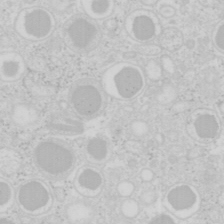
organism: Mouse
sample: Pancreas